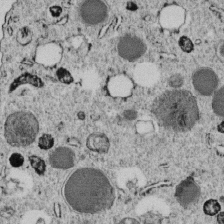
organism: C. elegans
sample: C. elegans embryo early stage